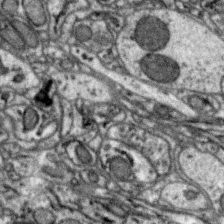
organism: Zebra finch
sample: Brain